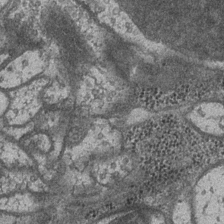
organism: Drosophila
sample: Optic medulla